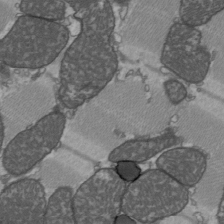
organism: C57BL Mouse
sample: Heart